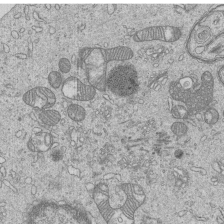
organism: Human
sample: MDA-MB-231 cells